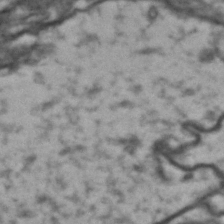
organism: Drosophila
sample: Brain